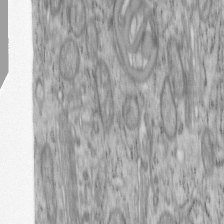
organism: Human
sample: HeLa cells